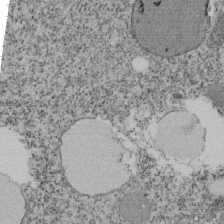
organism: Tetrahymena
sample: Cilia in tetrahymena